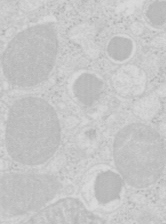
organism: Mouse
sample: Pancreas